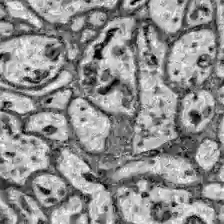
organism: Zebrafish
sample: Brain